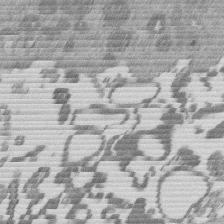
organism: Mouse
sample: Dividing mouse embryo 1 cell stage